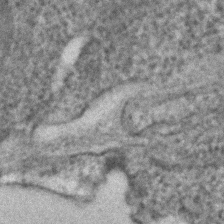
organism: C. elegans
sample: C. elegans embryo